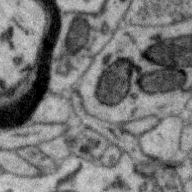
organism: Zebra finch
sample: Brain